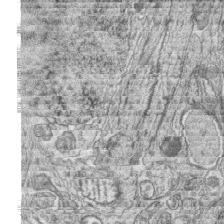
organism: Zebrafish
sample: synaptic ribbons in rod cells and cone cells